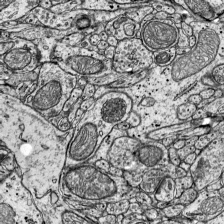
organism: Mouse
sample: Visual Cortex